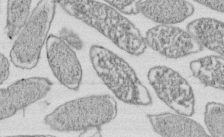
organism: E. coli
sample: Bacterial nucleoid